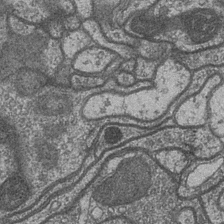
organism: Drosophila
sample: Optic medulla